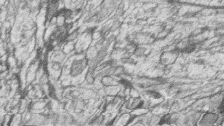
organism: Zebrafish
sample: synaptic ribbons in rod cells and cone cells